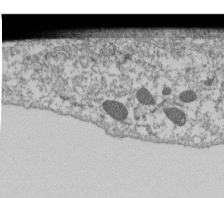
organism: Dictyostelium discoideum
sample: Dictyostelium multivesicular bodies